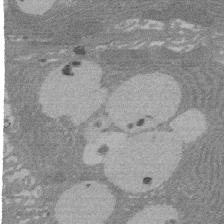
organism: Rat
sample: Salivary granule